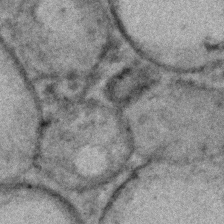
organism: C. elegans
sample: C. elegans embryo